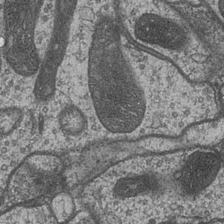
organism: Drosophila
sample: Optic medulla